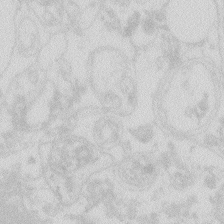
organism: Zebrafish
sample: Macrophage